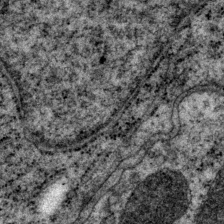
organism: P. pacificus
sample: Pharynx